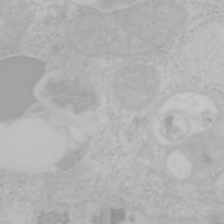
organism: Mouse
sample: OT-I killer T cells with ID8 ovarian cancer cells